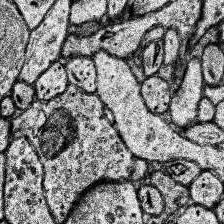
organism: Human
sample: Temporal Lobe